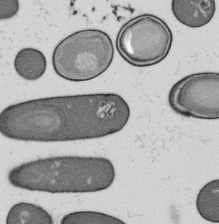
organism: B. subtilis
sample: Bacterial spore